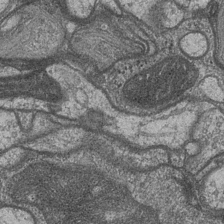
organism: Drosophila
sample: Optic medulla